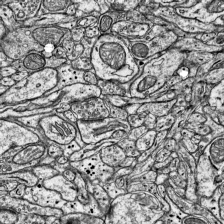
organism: Mouse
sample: Visual Cortex